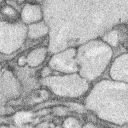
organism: Rabbit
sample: Retina